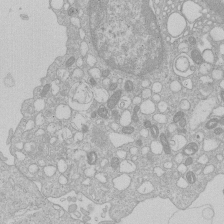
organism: Human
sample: Macrophage cells